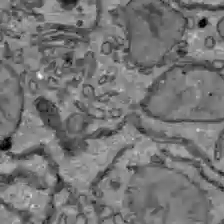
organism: C57BL Mouse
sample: Liver